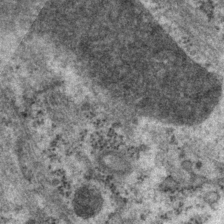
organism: P. pacificus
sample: Pharynx